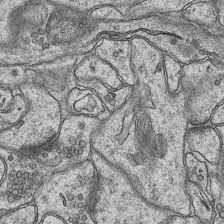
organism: Mouse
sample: CA1 Hippocampus